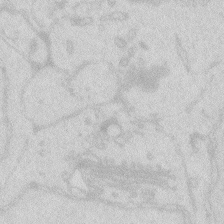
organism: Zebrafish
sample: Macrophage